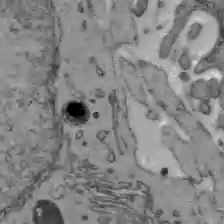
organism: C57BL Mouse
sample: Liver